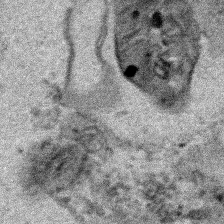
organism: Human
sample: Mitochondria in HCT116 cells